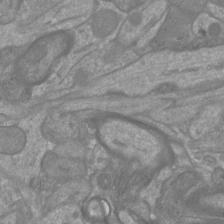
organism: Mouse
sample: Cortical neurons